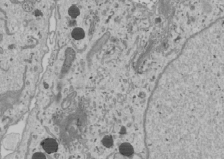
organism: Human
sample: Mitochondria in U2OS cells